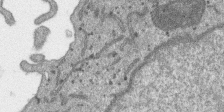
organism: Human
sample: Lung epithelial cells infected with SARS-CoV-2